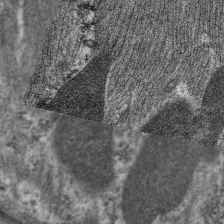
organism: C. elegans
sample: Pharynx